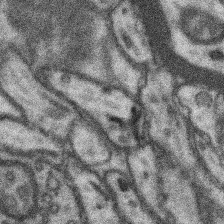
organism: Mouse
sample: Somatosensory cortex neuropil